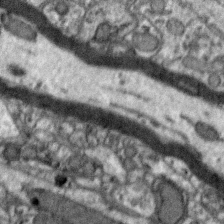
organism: Zebra finch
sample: Brain